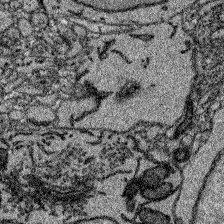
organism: Zebrafish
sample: Larval olfactory bulb